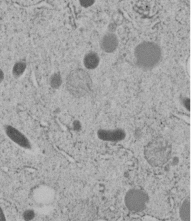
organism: C. elegans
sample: C. elegans embryo early stage